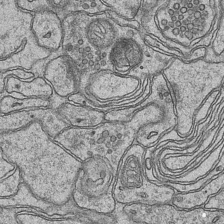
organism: Mouse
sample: CA1 Hippocampus